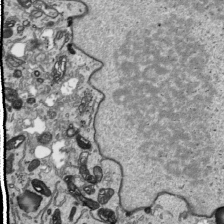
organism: Human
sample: Mitochondria in HCT116 cells